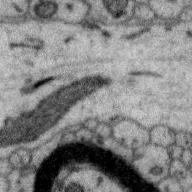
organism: Zebra finch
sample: Brain